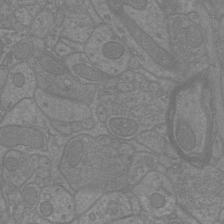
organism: Mouse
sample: Cortical neurons